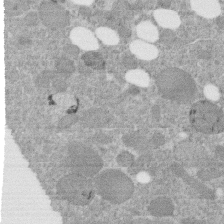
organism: C. elegans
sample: C. elegans embryo early stage